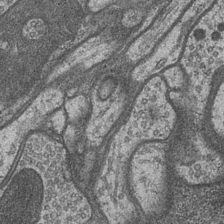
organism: Drosophila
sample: Optic medulla